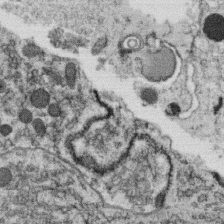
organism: C. elegans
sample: C. elegans oocyte; sperm cells